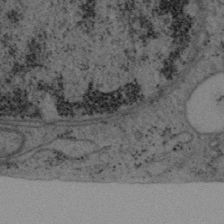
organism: Human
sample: HeLa cells